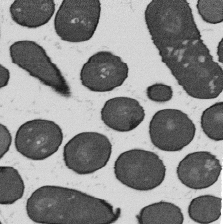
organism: B. subtilis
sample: Bacterial spore